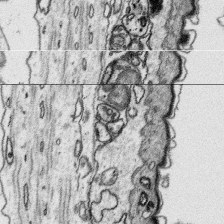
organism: Platynereis dumerilii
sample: Parapodia